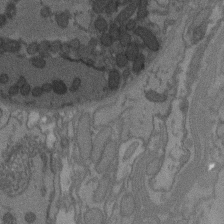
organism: C. elegans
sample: AFD neurons C. elegans